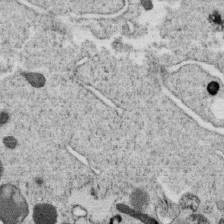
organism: C. elegans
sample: C. elegans oocyte; sperm cells